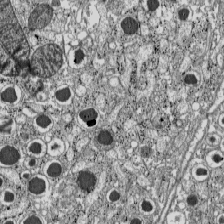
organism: C57BL Mouse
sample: Pancreatic islet